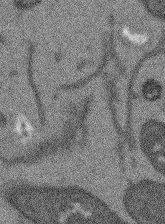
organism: Arabidopsis thaliana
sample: Root tip